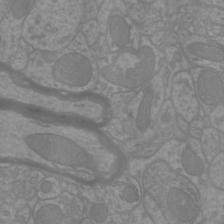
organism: Mouse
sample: Cortical neurons